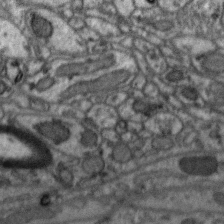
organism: Zebra finch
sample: Brain